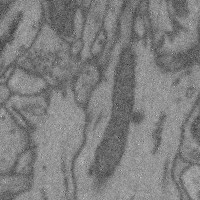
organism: Mouse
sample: Cerebral cortex